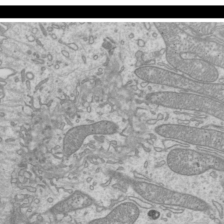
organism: Mouse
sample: Cilia; mouse epididymis